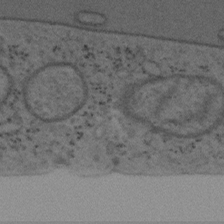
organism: Human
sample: HeLa cells